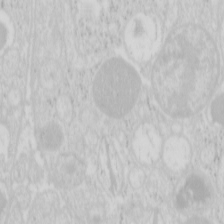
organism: Mouse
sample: Pancreas